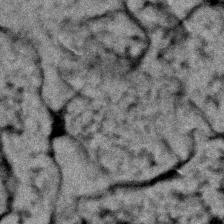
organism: Zebrafish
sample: Zebrafish embryo